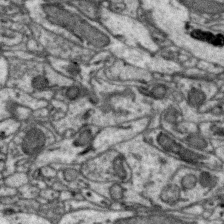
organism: Zebra finch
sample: Brain